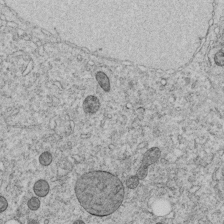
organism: C. elegans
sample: C. elegans embryo early stage